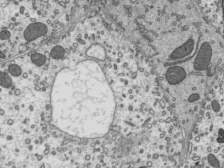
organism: Mouse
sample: Mouse epididymis efferent ductule cilia